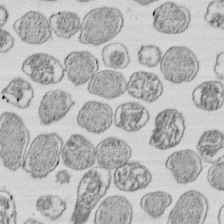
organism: E. coli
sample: Bacterial nucleoid